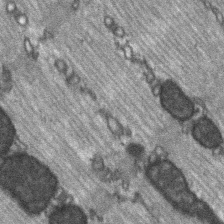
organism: C57BL Mouse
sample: Soleus